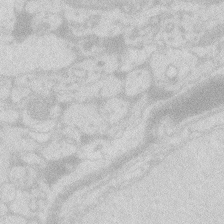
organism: Zebrafish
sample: Macrophage